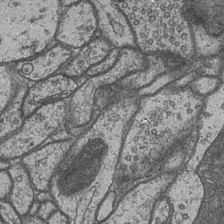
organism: Drosophila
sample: Optic medulla